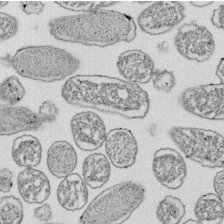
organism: E. coli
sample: Bacterial nucleoid